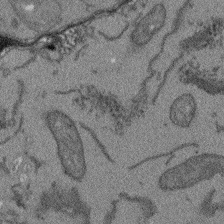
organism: Arabidopsis thaliana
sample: Root tip